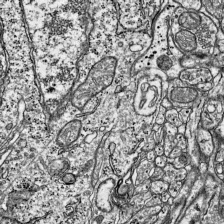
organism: Mouse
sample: Visual Cortex